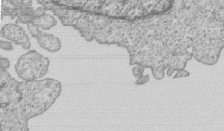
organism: Human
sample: MDA-MB-231 cells